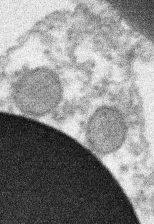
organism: Xenopus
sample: Cilia; centrioles in frog embryo cells